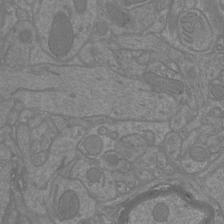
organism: Mouse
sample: Cortical neurons